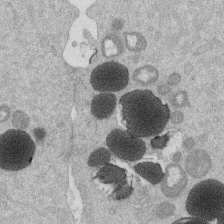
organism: Mouse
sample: Dividing mouse embryo 1 cell stage